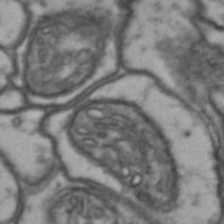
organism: Drosophila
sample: Brain